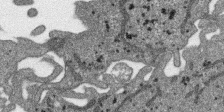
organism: Human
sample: Lung epithelial cells infected with SARS-CoV-2